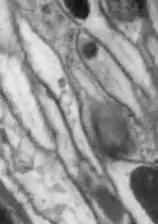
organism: Drosophila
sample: Optic lobe